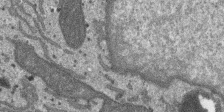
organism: Human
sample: Lung epithelial cells infected with SARS-CoV-2